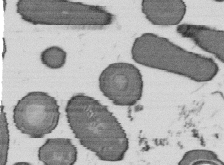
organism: B. subtilis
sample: Bacterial spore